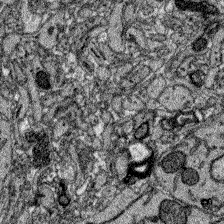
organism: Zebrafish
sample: Larval olfactory bulb